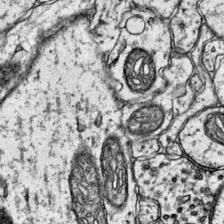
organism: Mouse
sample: Primary visual cortex